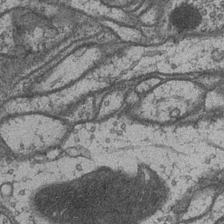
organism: Drosophila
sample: Optic medulla